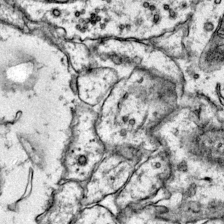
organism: Mouse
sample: Primary visual cortex